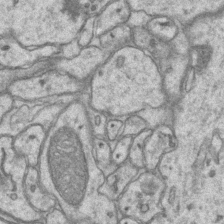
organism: Mouse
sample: CA1 Hippocampus